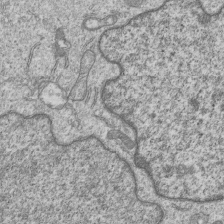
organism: Human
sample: MDA-MB-231 cells